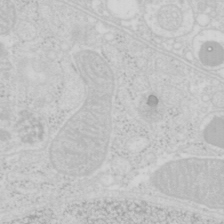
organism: Mouse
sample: Pancreas